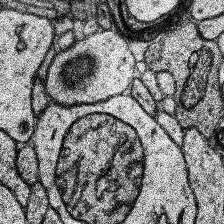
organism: Human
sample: Temporal Lobe